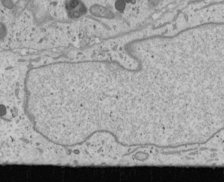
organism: Human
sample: Mitochondria in U2OS cells